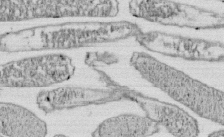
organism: E. coli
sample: Bacterial nucleoid